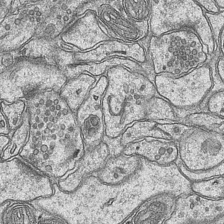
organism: Mouse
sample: CA1 Hippocampus